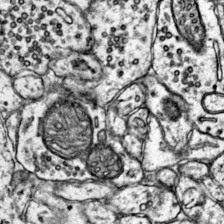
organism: Mouse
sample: Primary visual cortex